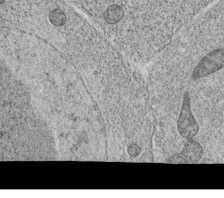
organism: C. elegans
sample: C. elegans oocyte; sperm cells